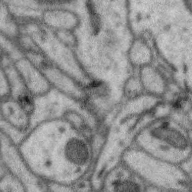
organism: Zebra finch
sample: Brain